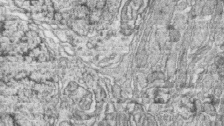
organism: Zebrafish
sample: synaptic ribbons in rod cells and cone cells